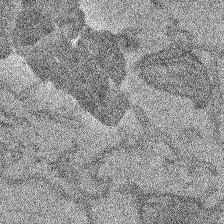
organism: Human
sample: HeLa cells